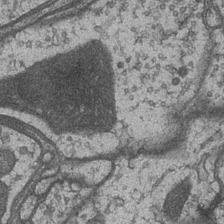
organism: Drosophila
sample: Optic medulla